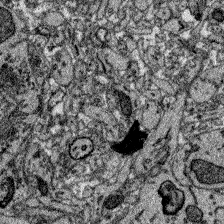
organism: Zebrafish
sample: Larval olfactory bulb